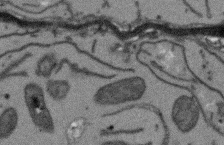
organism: Arabidopsis thaliana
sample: Root tip